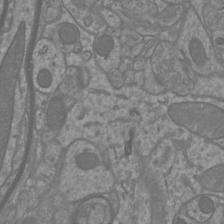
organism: Mouse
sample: Cortical neurons